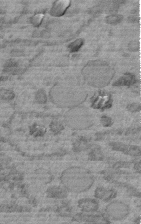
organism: C. elegans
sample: C. elegans embryo early stage